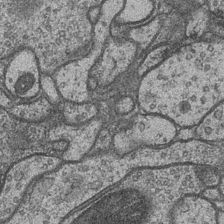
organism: Drosophila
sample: Optic medulla